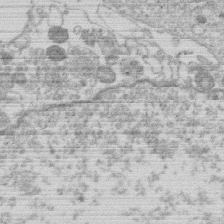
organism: Human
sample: Macrophage cells